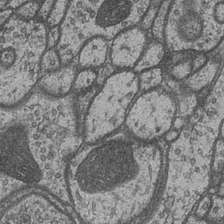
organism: Drosophila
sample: Optic medulla